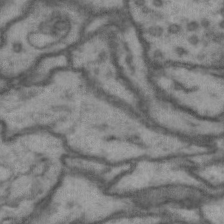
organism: Drosophila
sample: Brain